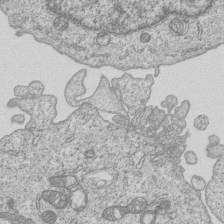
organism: Human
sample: MDA-MB-231 cells